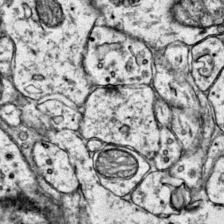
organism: Mouse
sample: Primary visual cortex